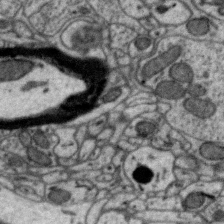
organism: Zebra finch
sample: Brain